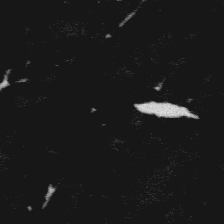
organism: Platynereis dumerilii